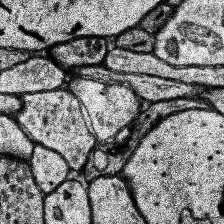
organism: Human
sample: Temporal Lobe